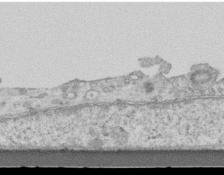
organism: Mouse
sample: Centriole in ependymal cells